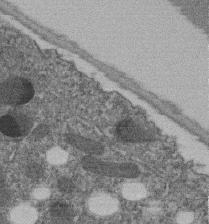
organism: C. elegans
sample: C. elegans embryo early stage